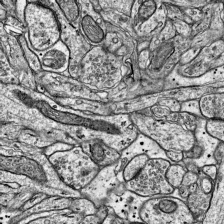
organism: Mouse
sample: Visual Cortex